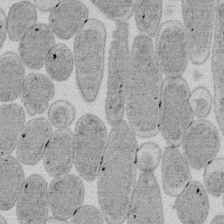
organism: E. coli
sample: Bacterial nucleoid